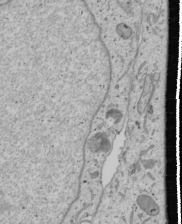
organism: Human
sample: Mitochondria in U2OS cells